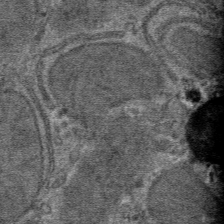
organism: Mouse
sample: Mouse hepatocytes